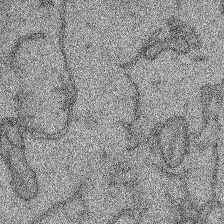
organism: Human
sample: HeLa cells